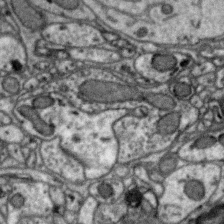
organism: Zebra finch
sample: Brain